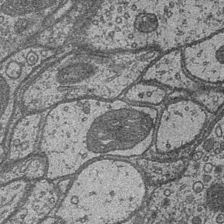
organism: Drosophila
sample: Optic medulla